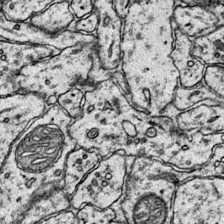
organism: Mouse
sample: Primary visual cortex